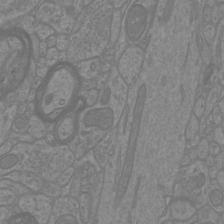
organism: Mouse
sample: Cortical neurons